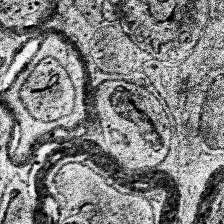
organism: Human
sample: Temporal Lobe